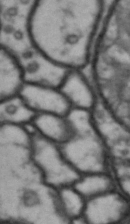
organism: Drosophila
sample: Brain